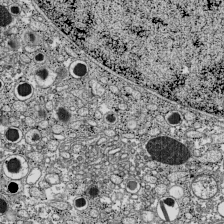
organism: C57BL Mouse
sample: Pancreatic islet